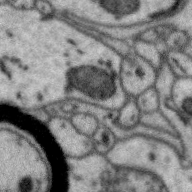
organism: Zebra finch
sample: Brain